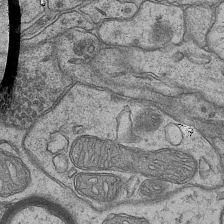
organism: Mouse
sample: CA1 Hippocampus